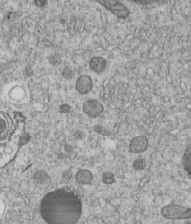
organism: C. elegans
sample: C. elegans embryo early stage